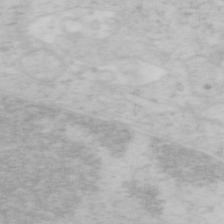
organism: Mouse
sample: OT-I killer T cells with ID8 ovarian cancer cells